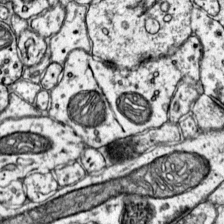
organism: Mouse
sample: Primary visual cortex